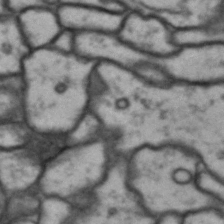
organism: Drosophila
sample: Brain